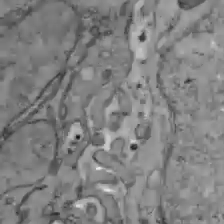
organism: C57BL Mouse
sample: Liver